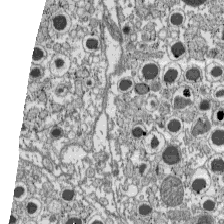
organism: C57BL Mouse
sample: Pancreatic islet